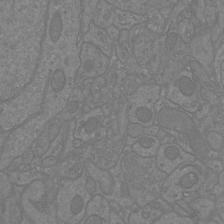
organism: Mouse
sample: Cortical neurons